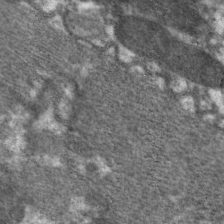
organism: C. elegans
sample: Pharynx